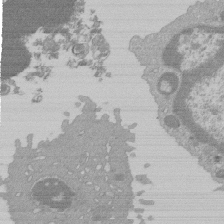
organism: Mouse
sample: Activated Pmel transgenic CD8+ T Cells